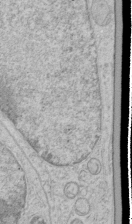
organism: Human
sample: Mitochondria in HCT116 cells